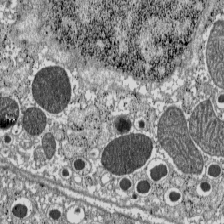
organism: C57BL Mouse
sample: Pancreatic islet